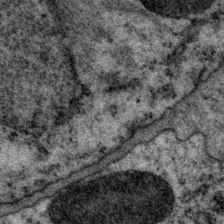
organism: P. pacificus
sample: Pharynx